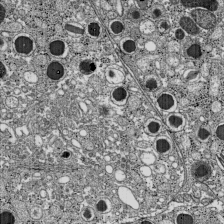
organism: C57BL Mouse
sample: Pancreatic islet